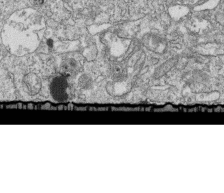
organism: Human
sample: HeLa cell HIV synapse